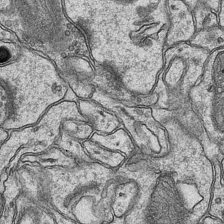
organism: Mouse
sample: CA1 Hippocampus